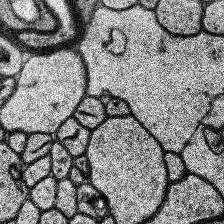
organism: Human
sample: Temporal Lobe